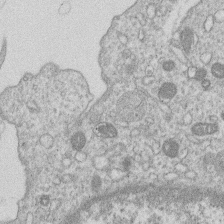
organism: Human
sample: Macrophage cells